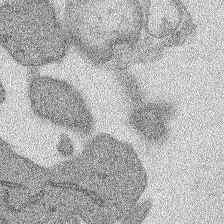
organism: Human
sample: HeLa cells